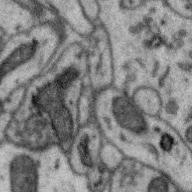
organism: Zebra finch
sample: Brain